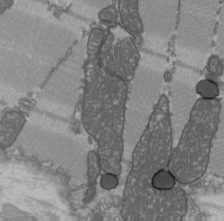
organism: C57BL Mouse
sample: Heart